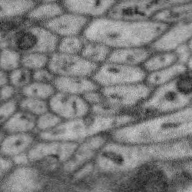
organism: Zebra finch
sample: Brain